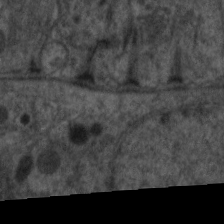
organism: C. elegans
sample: Pharynx